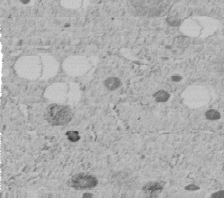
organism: C. elegans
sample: C. elegans embryo early stage